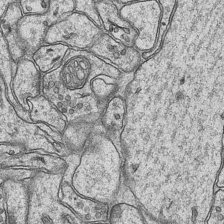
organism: Mouse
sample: CA1 Hippocampus